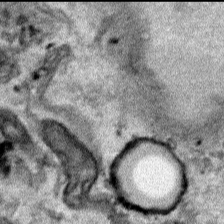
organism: Human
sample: Mitochondria in HCT116 cells